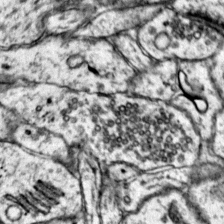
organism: Mouse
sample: Primary visual cortex